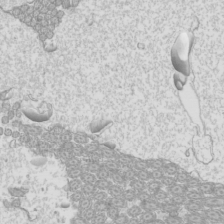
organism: Mouse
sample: Cilia; mouse epididymis